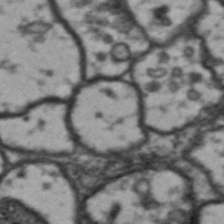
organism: Drosophila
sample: Brain